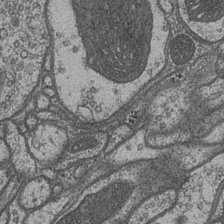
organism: Drosophila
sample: Optic medulla